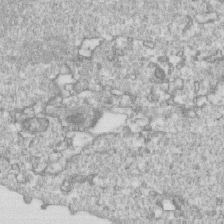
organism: Mouse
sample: Activated OT-1 CD8+ T cells